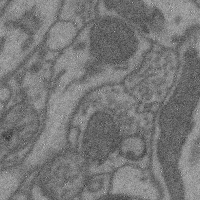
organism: Mouse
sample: Cerebral cortex